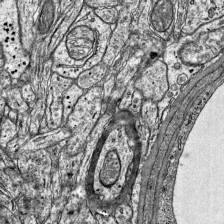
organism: Mouse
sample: Visual Cortex